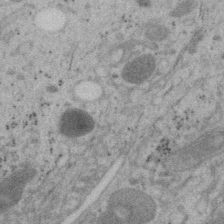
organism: Human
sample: HeLa cells